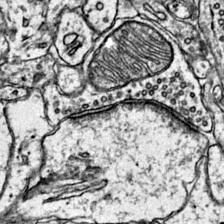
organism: Mouse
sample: Primary visual cortex